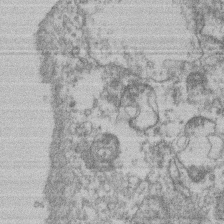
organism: Mouse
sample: T cell stromal cell synapse